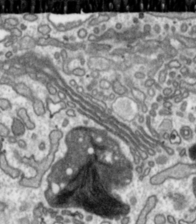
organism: Toxoplasma gondii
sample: Parasites in a vacuole inside a host cell